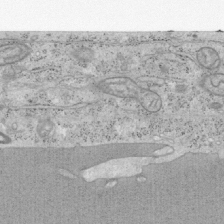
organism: Human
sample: HeLa cells